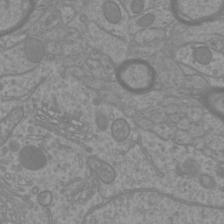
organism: Mouse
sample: Cortical neurons